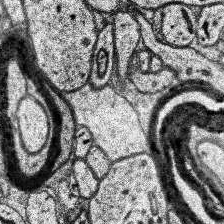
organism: Human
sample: Temporal Lobe